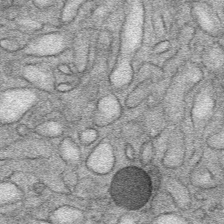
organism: Mouse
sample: Mouse Salivary gland